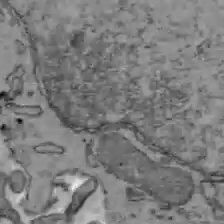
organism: C57BL Mouse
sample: Liver